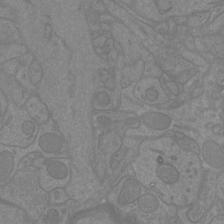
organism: Mouse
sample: Cortical neurons